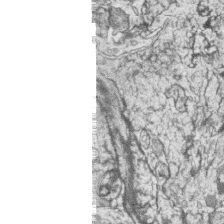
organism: Zebrafish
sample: synaptic ribbons in rod cells and cone cells